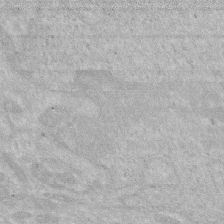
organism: Human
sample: HIV infected U937 cells